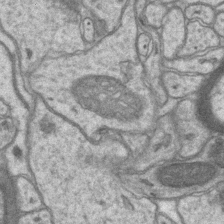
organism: Mouse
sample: CA1 Hippocampus